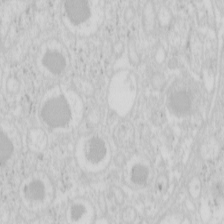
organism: Mouse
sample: Pancreas